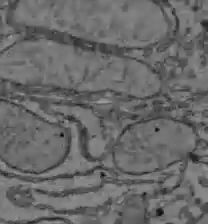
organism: C57BL Mouse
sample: Liver